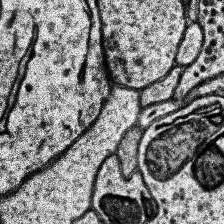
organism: Human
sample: Temporal Lobe